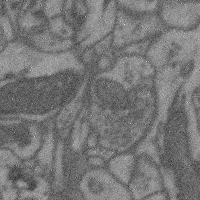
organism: Mouse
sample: Cerebral cortex